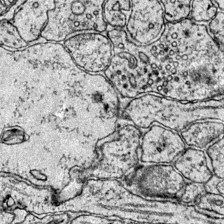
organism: Mouse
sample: Primary visual cortex